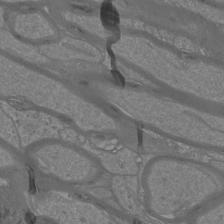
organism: Mouse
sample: Cortical neurons